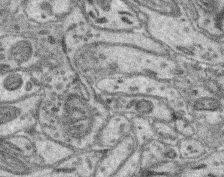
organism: Mouse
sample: Retina